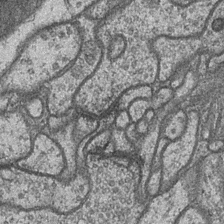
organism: Drosophila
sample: Optic medulla